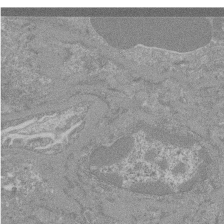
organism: Mouse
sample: Glomerulus